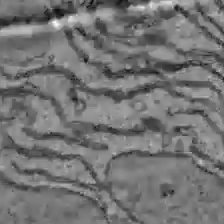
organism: C57BL Mouse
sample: Liver